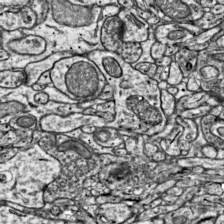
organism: Mouse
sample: Visual Cortex